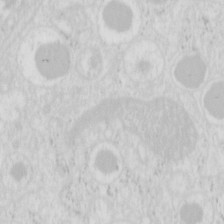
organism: Mouse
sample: Pancreas